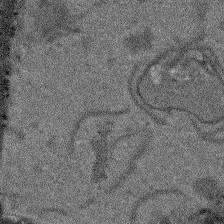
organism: Arabidopsis thaliana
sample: Root tip